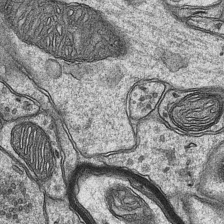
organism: Mouse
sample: CA1 Hippocampus